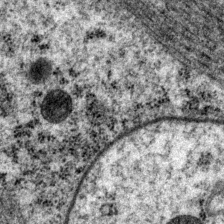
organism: P. pacificus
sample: Pharynx